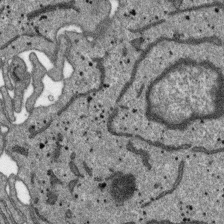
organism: Human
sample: Lung epithelial cells, uninfected (mock) control